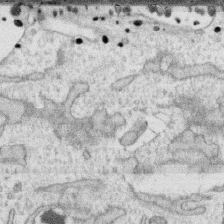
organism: Human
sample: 1205lu cells